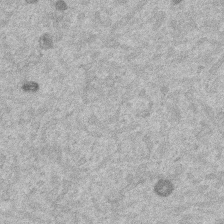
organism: Mouse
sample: Dividing mouse embryo 1 cell stage